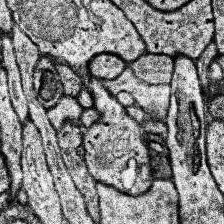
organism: Human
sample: Temporal Lobe